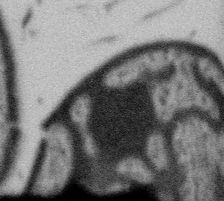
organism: Gemmata obscuriglobus